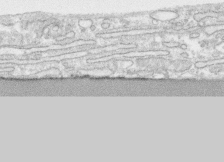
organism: Human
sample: CRL-1474